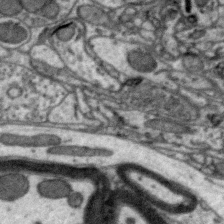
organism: Zebra finch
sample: Brain